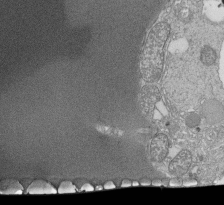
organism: Tetrahymena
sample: Cilia in tetrahymena